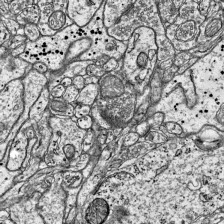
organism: Mouse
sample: Visual Cortex